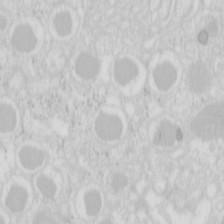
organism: Mouse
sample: Pancreas